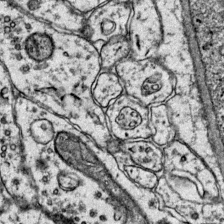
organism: Mouse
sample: Primary visual cortex